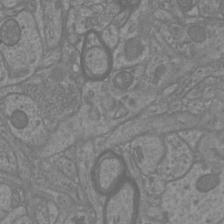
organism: Mouse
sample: Cortical neurons